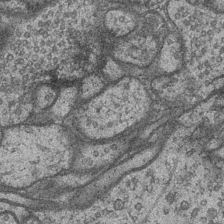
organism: Drosophila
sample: Optic medulla